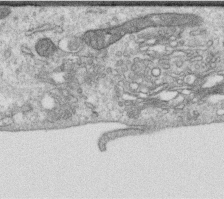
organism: Human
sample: Centriole in RPE cells